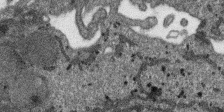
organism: Human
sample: Lung epithelial cells infected with SARS-CoV-2